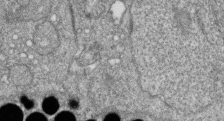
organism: Zebrafish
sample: Cilia; retinal pigment epithelium